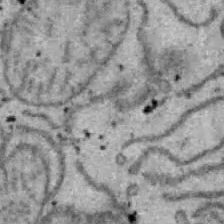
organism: Mouse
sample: Liver from an obese (ob/ob) mouse